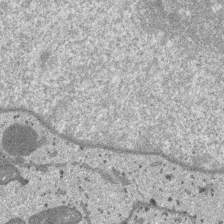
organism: Human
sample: Lung epithelial cells infected with SARS-CoV-2